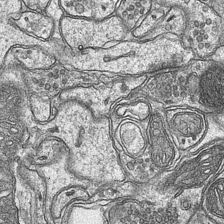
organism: Mouse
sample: CA1 Hippocampus